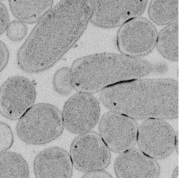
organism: E. coli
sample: Bacterial nucleoid